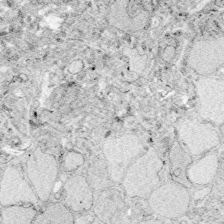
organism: Zebrafish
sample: Whole-Brain